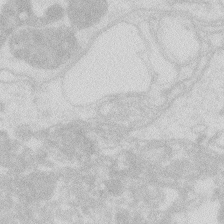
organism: Zebrafish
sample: Macrophage